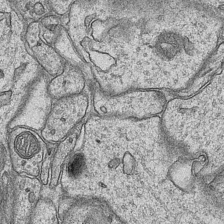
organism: Mouse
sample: CA1 Hippocampus